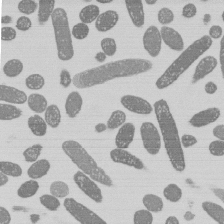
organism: E. coli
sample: Bacterial nucleoid